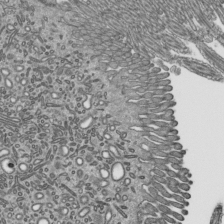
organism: Mouse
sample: Mouse epididymis efferent ductule cilia